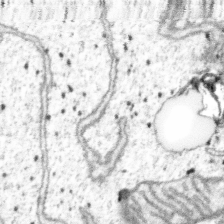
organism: Human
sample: HeLa cells